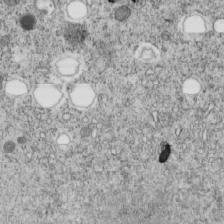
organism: C. elegans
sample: C. elegans embryo early stage